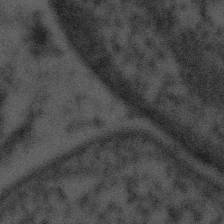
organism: Tuwongella immobilis